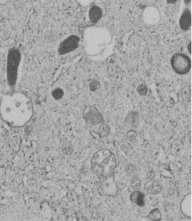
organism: C. elegans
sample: C. elegans embryo early stage